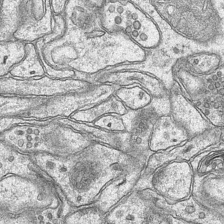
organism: Mouse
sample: CA1 Hippocampus